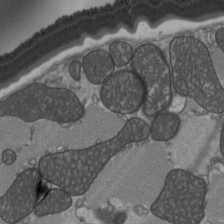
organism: C57BL Mouse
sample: Heart